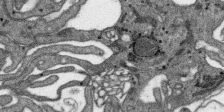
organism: Human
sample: Lung epithelial cells, uninfected (mock) control